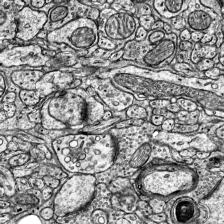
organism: Mouse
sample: Visual Cortex